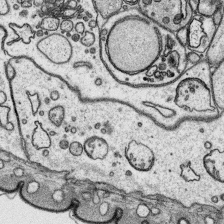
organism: Platynereis dumerilii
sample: Parapodia